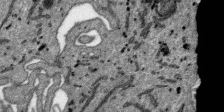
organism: Human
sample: Lung epithelial cells, uninfected (mock) control